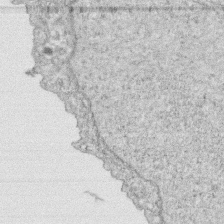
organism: Human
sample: HeLa cell HIV synapse